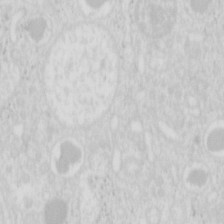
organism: Mouse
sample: Pancreas